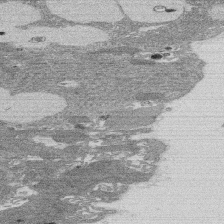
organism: Rat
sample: Salivary granule